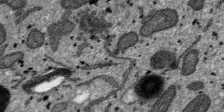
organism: Human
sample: Lung epithelial cells, uninfected (mock) control